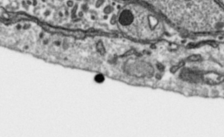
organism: Toxoplasma gondii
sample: Parasites in a vacuole inside a host cell